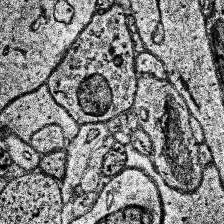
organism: Human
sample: Temporal Lobe